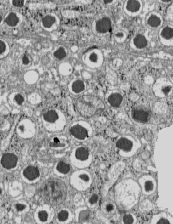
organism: C57BL Mouse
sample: Pancreatic islet